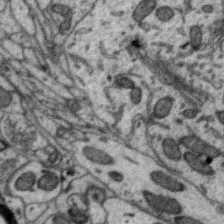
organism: Zebra finch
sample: Brain